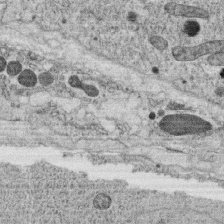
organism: C. elegans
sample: C. elegans oocyte; sperm cells